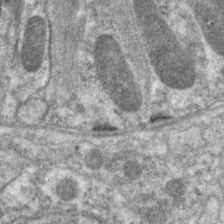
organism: C. elegans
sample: Pharynx